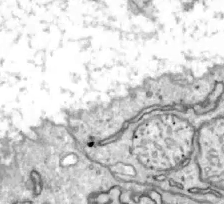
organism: Zebrafish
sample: Actinotrichia fibers